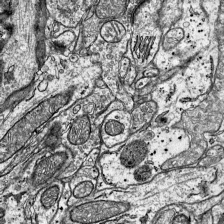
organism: Mouse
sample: Visual Cortex